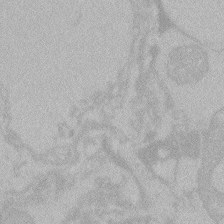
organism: Zebrafish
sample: Macrophage infected with Toxoplasma gondii